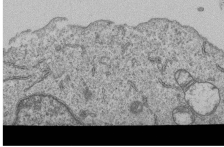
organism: Human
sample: MDA-MB-231 cells